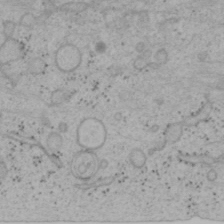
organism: Human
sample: HeLa cells